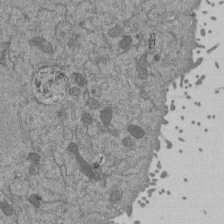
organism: Mouse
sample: ED-1 cell nuclei; centrioles